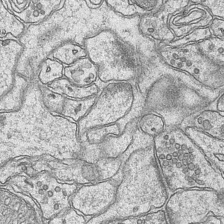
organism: Mouse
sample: CA1 Hippocampus